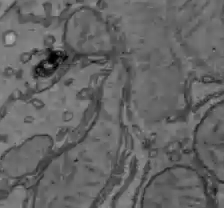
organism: C57BL Mouse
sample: Liver